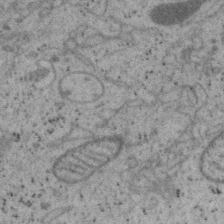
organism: Human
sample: HeLa cells